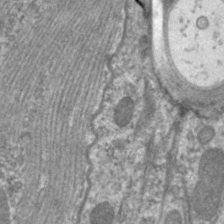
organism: C. elegans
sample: Pharynx